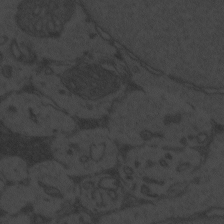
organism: Zebrafish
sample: Macrophage infected with Toxoplasma gondii